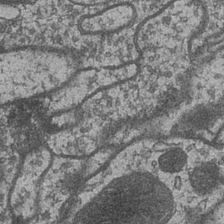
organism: Drosophila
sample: Optic medulla